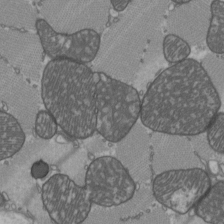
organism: C57BL Mouse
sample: Heart